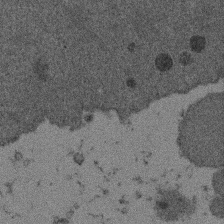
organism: Mouse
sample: Dividing mouse embryo 1 cell stage